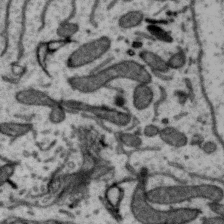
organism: Zebra finch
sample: Brain